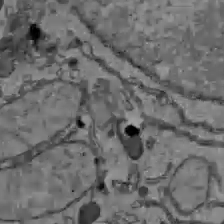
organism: C57BL Mouse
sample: Liver